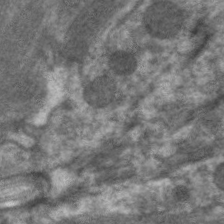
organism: C. elegans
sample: Pharynx